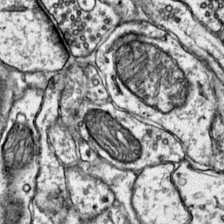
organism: Mouse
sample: Primary visual cortex